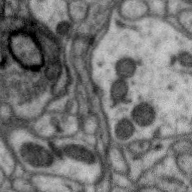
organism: Zebra finch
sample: Brain